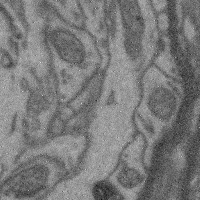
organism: Mouse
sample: Cerebral cortex